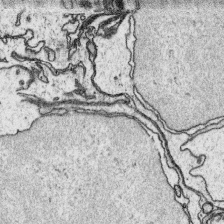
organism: Platynereis dumerilii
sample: Parapodia